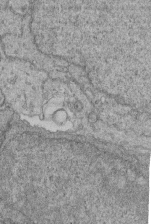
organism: Human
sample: Retinal organoid Rod and Cone cells